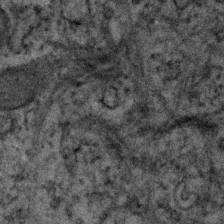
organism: Human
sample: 1205lu cells